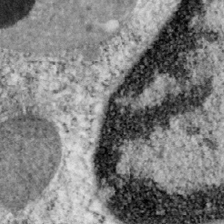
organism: Mouse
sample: OT-I killer T cells with ID8 ovarian cancer cells